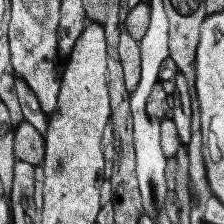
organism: Human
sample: Temporal Lobe